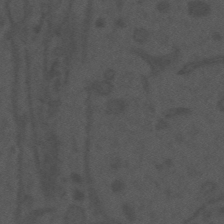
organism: Mouse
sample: Suprachiasmatic nucleus